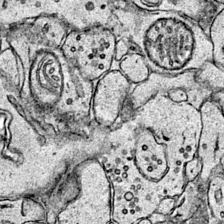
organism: Mouse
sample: Primary visual cortex